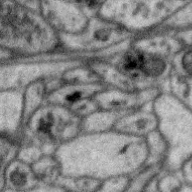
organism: Zebra finch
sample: Brain